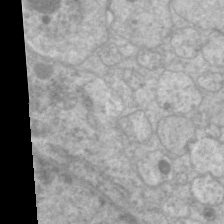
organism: C. elegans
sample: Pharynx